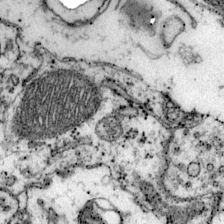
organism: Mouse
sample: Primary visual cortex